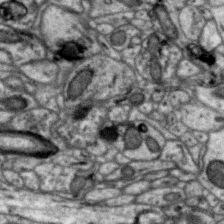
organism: Zebra finch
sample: Brain